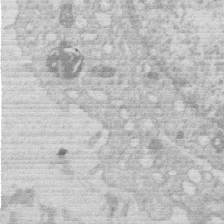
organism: Human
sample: Macrophage cells